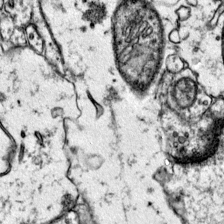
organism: Mouse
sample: Primary visual cortex